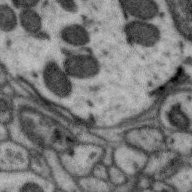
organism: Zebra finch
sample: Brain